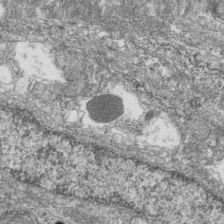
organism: Zebrafish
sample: Cilia; retinal pigment epithelium